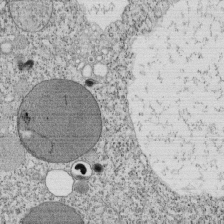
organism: Tetrahymena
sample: Cilia in tetrahymena